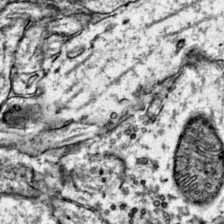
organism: Mouse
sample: Primary visual cortex